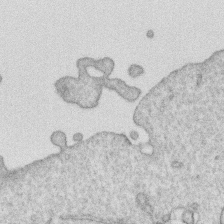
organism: Human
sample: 1205lu cells